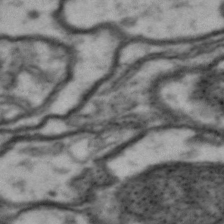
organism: Drosophila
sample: Brain